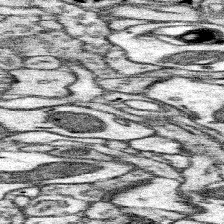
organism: Mouse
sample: Somatosensory cortex neuropil